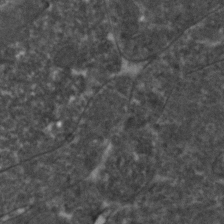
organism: Zebrafish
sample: Zebrafish embryo